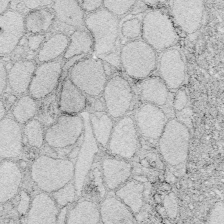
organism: Zebrafish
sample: Whole-Brain